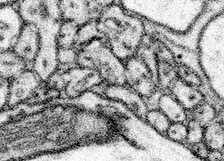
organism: Mouse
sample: Somatosensory cortex neuropil